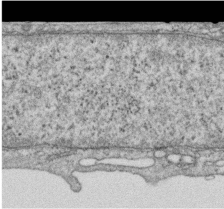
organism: Human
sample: Centriole in RPE cells